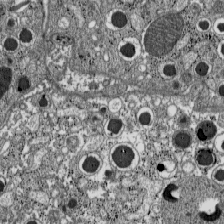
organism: C57BL Mouse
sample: Pancreatic islet